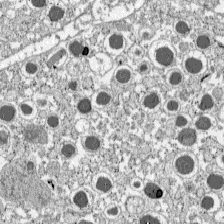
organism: C57BL Mouse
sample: Pancreatic islet